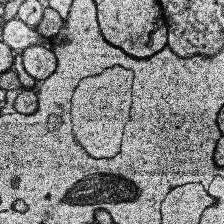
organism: Human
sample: Temporal Lobe